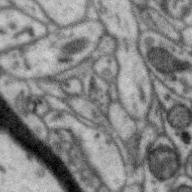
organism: Zebra finch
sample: Brain